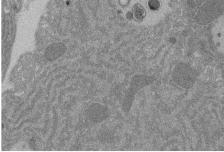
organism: Rat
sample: Salivary granule